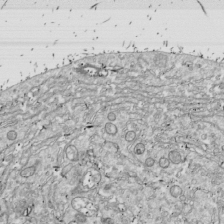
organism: Drosophila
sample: Cell division; meiosis; drosophila spermatocytes